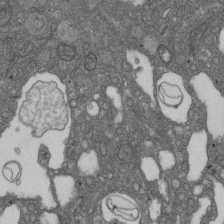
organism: Drosophila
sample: Nephrocyte